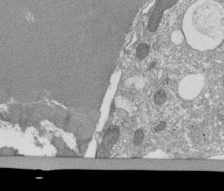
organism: Tetrahymena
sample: Cilia in tetrahymena